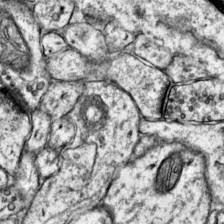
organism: Mouse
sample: Primary visual cortex